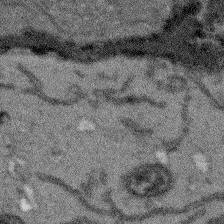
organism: Arabidopsis thaliana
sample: Root tip